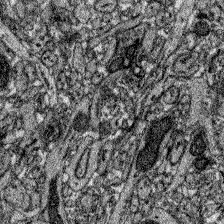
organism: Zebrafish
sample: Larval olfactory bulb